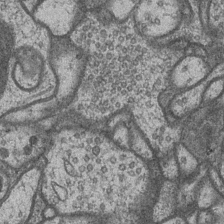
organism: Drosophila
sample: Optic medulla